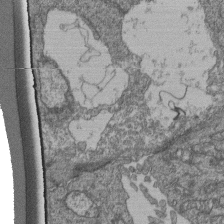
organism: Human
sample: Retinal organoid Rod and Cone cells